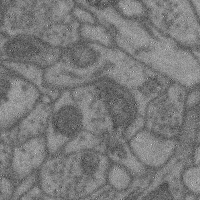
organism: Mouse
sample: Cerebral cortex